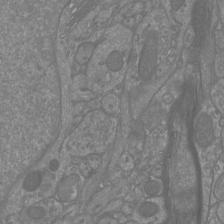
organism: Mouse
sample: Cortical neurons